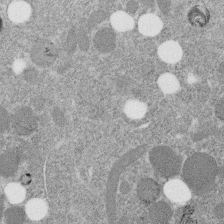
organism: C. elegans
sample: C. elegans embryo early stage